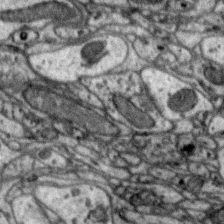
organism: Zebra finch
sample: Brain